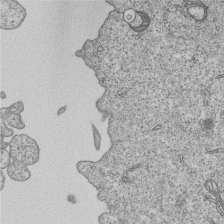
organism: Human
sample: MDA-MB-231 cells